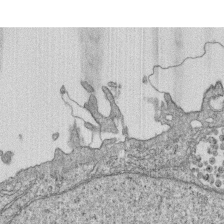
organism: Human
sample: HeLa cell HIV synapse